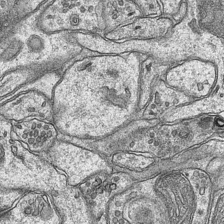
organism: Mouse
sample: CA1 Hippocampus